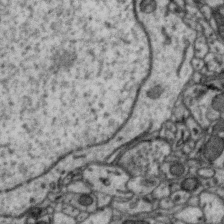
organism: Zebra finch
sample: Brain